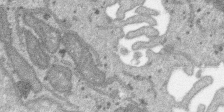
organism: Human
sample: Lung epithelial cells infected with SARS-CoV-2